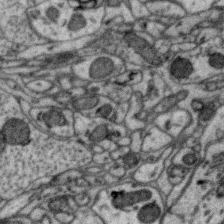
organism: Zebra finch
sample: Brain